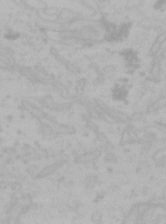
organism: Mouse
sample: Choroid plexus